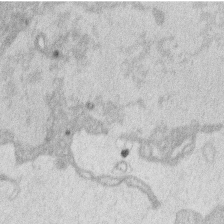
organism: Human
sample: Macrophage cells